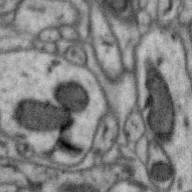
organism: Zebra finch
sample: Brain